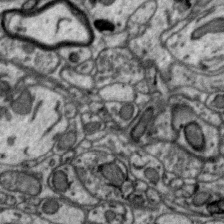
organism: Zebra finch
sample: Brain